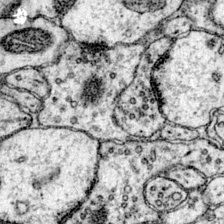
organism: Mouse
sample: Primary visual cortex